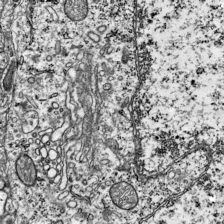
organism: Mouse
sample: Visual Cortex